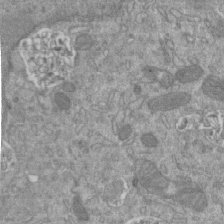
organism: Mouse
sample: ED-1 cell nuclei; centrioles